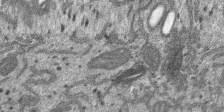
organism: Human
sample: Lung epithelial cells infected with SARS-CoV-2